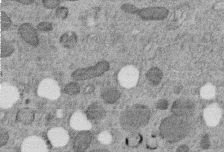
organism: C. elegans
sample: C. elegans embryo early stage